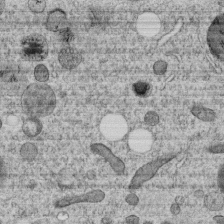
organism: C. elegans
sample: C. elegans embryo early stage